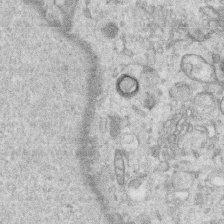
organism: Human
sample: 1205lu cells